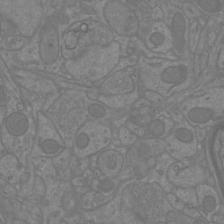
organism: Mouse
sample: Cortical neurons